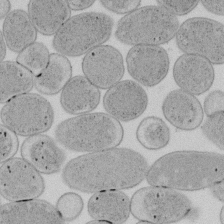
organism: E. coli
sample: Bacterial nucleoid